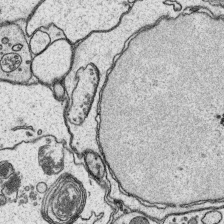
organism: Platynereis dumerilii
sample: Parapodia